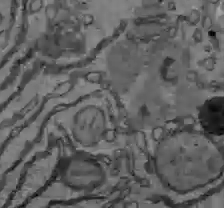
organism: C57BL Mouse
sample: Liver